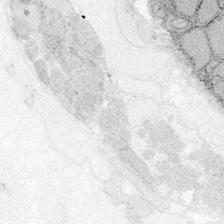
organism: Zebrafish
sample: Whole-Brain